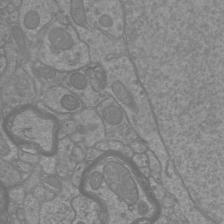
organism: Mouse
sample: Cortical neurons